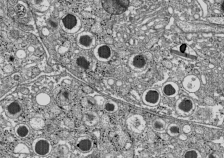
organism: C57BL Mouse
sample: Pancreatic islet